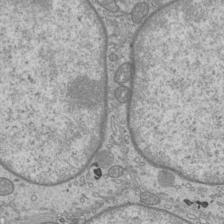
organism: Mouse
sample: Cilia; mouse epididymis